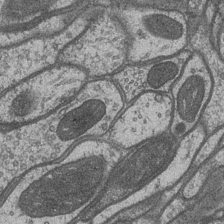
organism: Drosophila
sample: Optic medulla